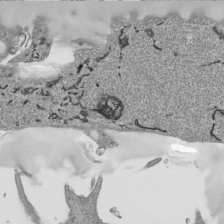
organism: Human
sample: Mitochondria in HCT116 cells